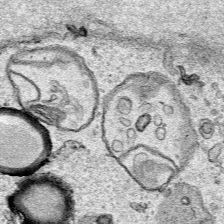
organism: Human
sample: Mitochondria in HCT116 cells